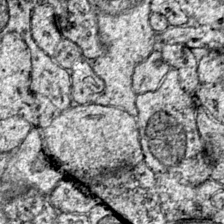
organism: Mouse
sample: Primary visual cortex